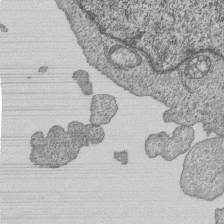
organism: Human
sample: MDA-MB-231 cells